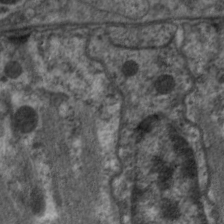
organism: C. elegans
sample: Pharynx